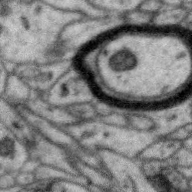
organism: Zebra finch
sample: Brain